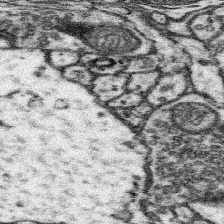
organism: Mouse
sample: Somatosensory cortex neuropil